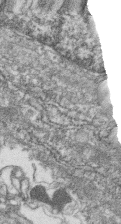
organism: Zebrafish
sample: Cilia; retinal pigment epithelium